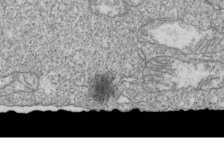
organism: Human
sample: HeLa cell HIV synapse